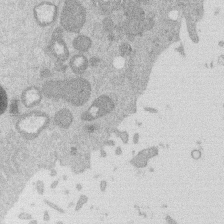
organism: Mouse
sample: Dividing mouse embryo 1 cell stage